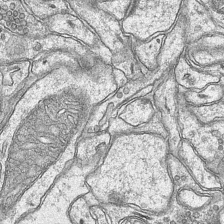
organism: Mouse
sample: CA1 Hippocampus